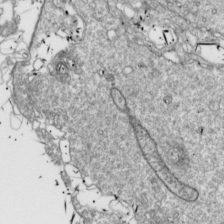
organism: Drosophila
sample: Cell division; meiosis; drosophila spermatocytes